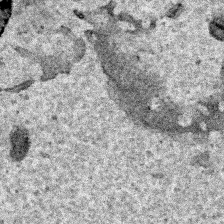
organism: Human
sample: Mitochondria in HCT116 cells